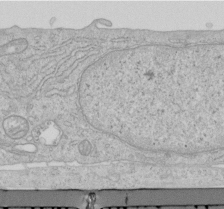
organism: Human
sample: Centriole in RPE cells